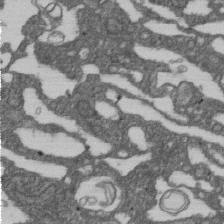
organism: Drosophila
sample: Nephrocyte